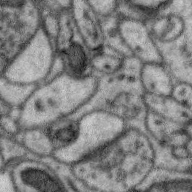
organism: Zebra finch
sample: Brain